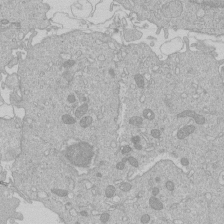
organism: Human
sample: Macrophage cells